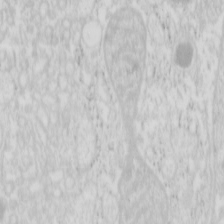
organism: Mouse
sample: Pancreas